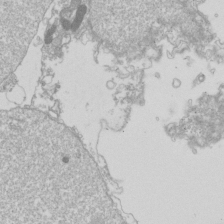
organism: Drosophila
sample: Cell division; meiosis; drosophila spermatocytes